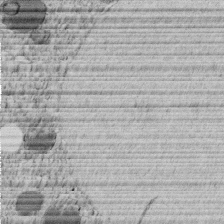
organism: C. elegans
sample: C. elegans embryo early stage